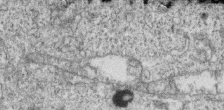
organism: Human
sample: HeLa cell HIV synapse